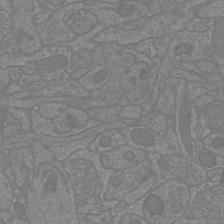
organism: Mouse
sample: Cortical neurons